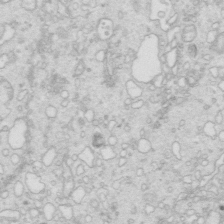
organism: Mouse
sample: Multiciliated cells